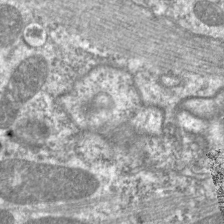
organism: C. elegans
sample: Pharynx